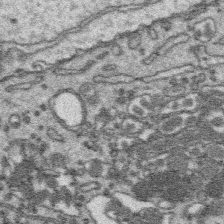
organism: Platynereis dumerilii